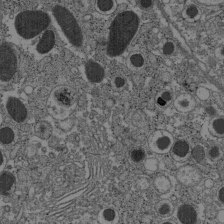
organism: C57BL Mouse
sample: Pancreatic islet